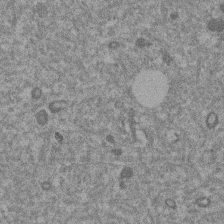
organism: Mouse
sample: Dividing mouse embryo 1 cell stage